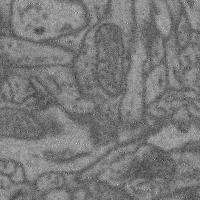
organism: Mouse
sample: Cerebral cortex